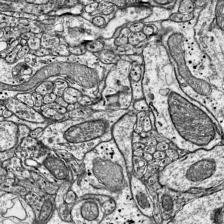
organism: Mouse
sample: Visual Cortex